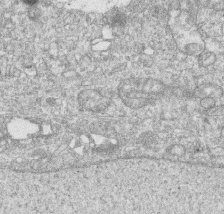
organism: Human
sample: HeLa cell HIV synapse